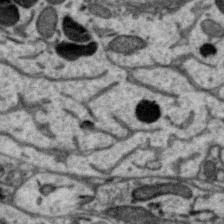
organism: Zebra finch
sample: Brain